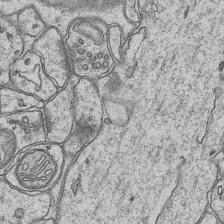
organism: Mouse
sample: CA1 Hippocampus